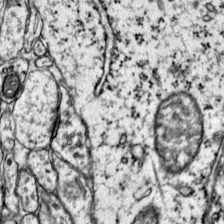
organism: Mouse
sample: Primary visual cortex